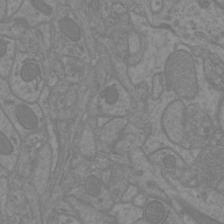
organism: Mouse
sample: Cortical neurons